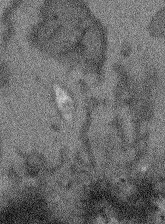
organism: Arabidopsis thaliana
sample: Root tip